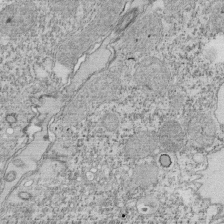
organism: Tetrahymena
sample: Cilia in tetrahymena